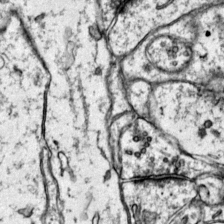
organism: Mouse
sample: Primary visual cortex